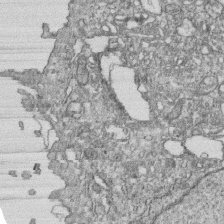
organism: Human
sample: HeLa cell HIV synapse